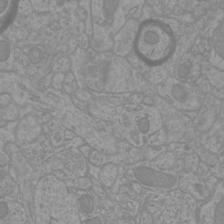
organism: Mouse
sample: Cortical neurons